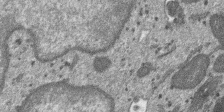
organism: Human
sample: Lung epithelial cells infected with SARS-CoV-2